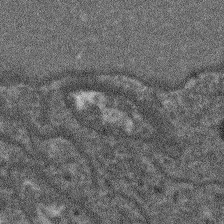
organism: Arabidopsis thaliana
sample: Root tip